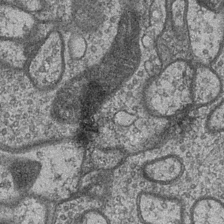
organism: Drosophila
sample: Optic medulla